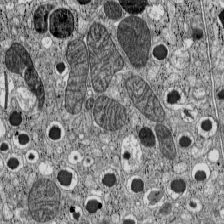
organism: C57BL Mouse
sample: Pancreatic islet